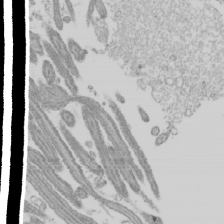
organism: Mouse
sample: Cilia; mouse epididymis